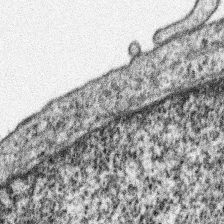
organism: Human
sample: HeLa cells